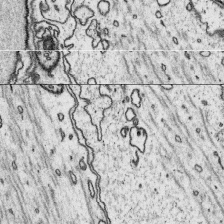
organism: Platynereis dumerilii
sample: Parapodia